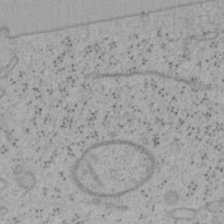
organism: Human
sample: HeLa cells